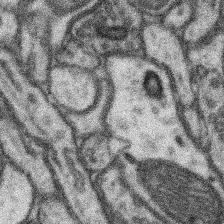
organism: Mouse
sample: Somatosensory cortex neuropil